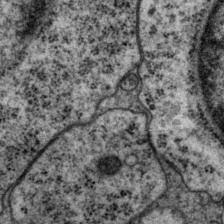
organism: P. pacificus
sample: Pharynx